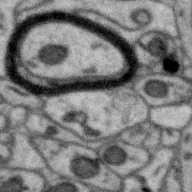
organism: Zebra finch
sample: Brain